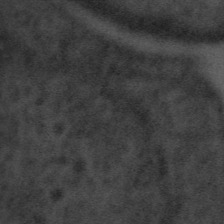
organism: Tuwongella immobilis